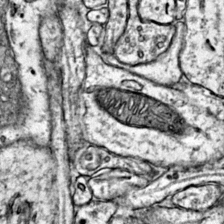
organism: Mouse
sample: Primary visual cortex